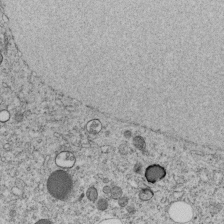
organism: C. elegans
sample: C. elegans embryo early stage